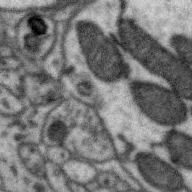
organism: Zebra finch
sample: Brain